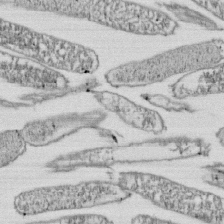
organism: E. coli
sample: Bacterial nucleoid